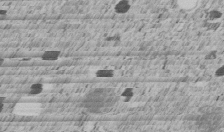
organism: C. elegans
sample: C. elegans embryo early stage